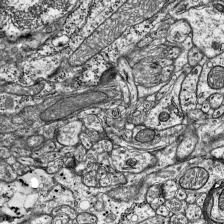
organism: Mouse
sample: Visual Cortex